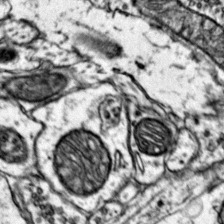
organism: Mouse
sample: Primary visual cortex